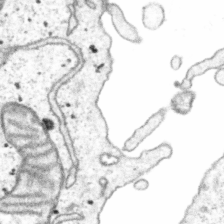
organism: Human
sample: HeLa cells